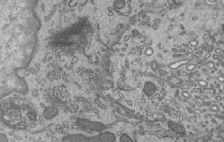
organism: Mouse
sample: Mouse epididymis efferent ductule cilia